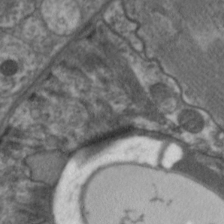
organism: C. elegans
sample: Pharynx